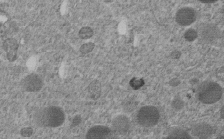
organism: C. elegans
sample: C. elegans embryo early stage